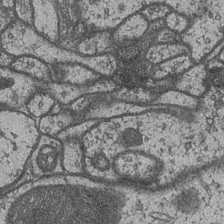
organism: Drosophila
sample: Optic medulla